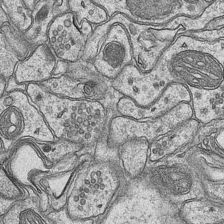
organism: Mouse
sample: CA1 Hippocampus